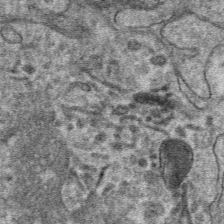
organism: Mouse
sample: Mouse hepatocytes